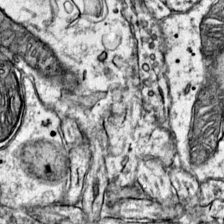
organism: Mouse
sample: Primary visual cortex